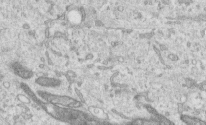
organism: Human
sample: Centriole in RPE cells